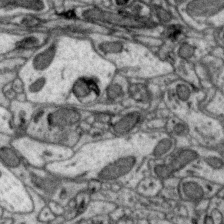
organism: Zebra finch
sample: Brain